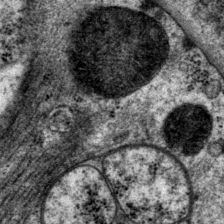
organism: P. pacificus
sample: Pharynx